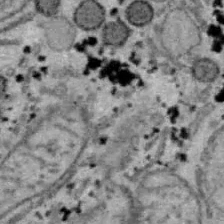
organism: Mouse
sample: Liver from an obese (ob/ob) mouse